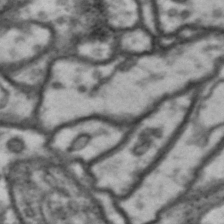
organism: Drosophila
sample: Brain